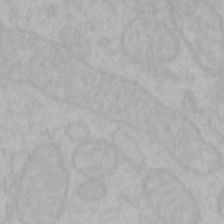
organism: Mouse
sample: Choroid plexus